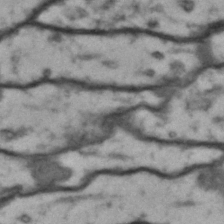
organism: Drosophila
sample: Brain